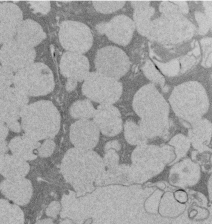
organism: Rat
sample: Salivary granule